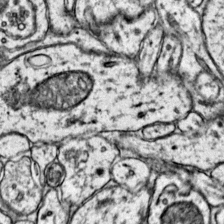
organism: Mouse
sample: Primary visual cortex